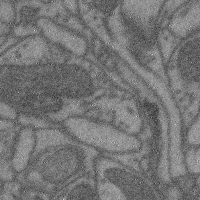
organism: Mouse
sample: Cerebral cortex